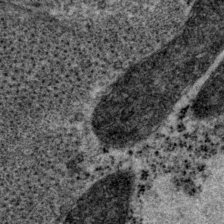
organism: P. pacificus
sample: Pharynx